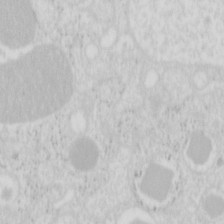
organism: Mouse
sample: Pancreas